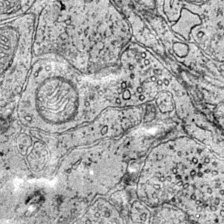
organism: Mouse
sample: Primary visual cortex